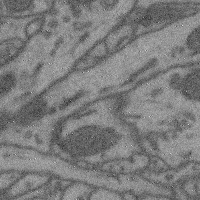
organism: Mouse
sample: Cerebral cortex